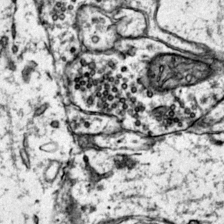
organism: Mouse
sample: Primary visual cortex